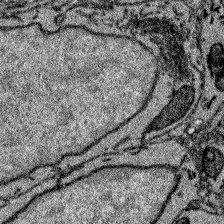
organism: Zebrafish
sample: Larval olfactory bulb